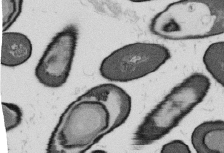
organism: B. subtilis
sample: Bacterial spore